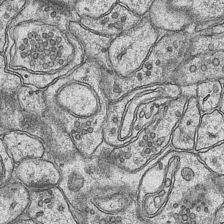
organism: Mouse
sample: CA1 Hippocampus